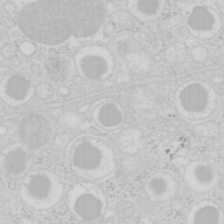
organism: Mouse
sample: Pancreas